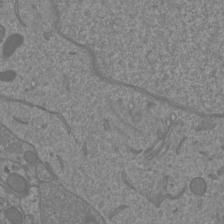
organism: Mouse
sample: Cortical neurons